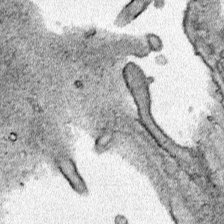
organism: Human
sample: Mitochondria in HCT116 cells